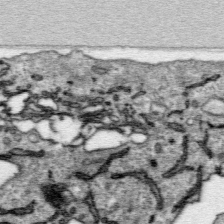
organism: Human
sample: HeLa cells